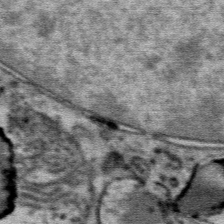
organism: Mouse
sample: Mouse Salivary gland